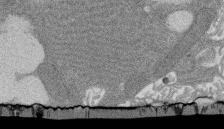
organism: Rat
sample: Salivary granule